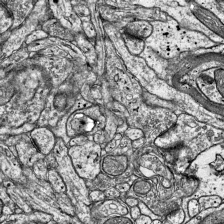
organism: Mouse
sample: Visual Cortex